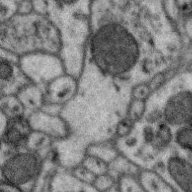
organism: Zebra finch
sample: Brain